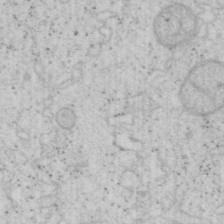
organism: Human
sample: HeLa cells